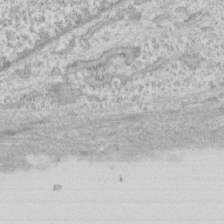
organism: Human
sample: CRL-1474